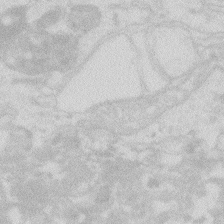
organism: Zebrafish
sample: Macrophage